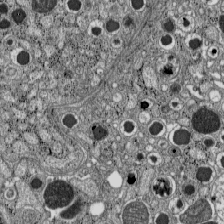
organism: C57BL Mouse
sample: Pancreatic islet